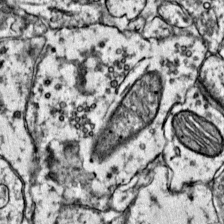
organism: Mouse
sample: Primary visual cortex